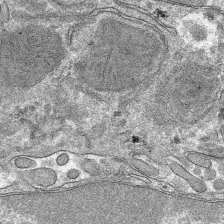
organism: Mouse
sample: Mouse hepatocytes